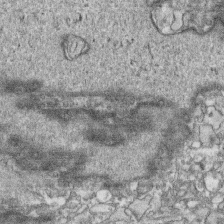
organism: Human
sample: CRL-1474